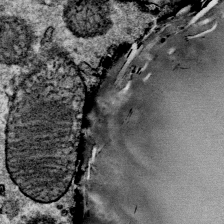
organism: Mouse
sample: Mouse Salivary gland